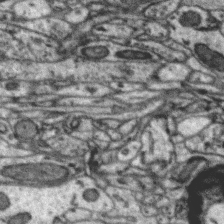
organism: Zebra finch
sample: Brain